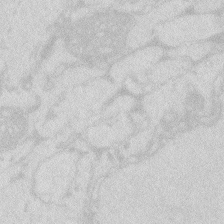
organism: Zebrafish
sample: Macrophage